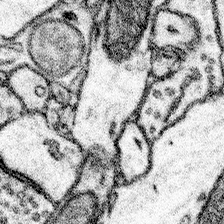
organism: Mouse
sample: Somatosensory cortex neuropil